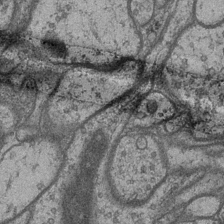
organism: Drosophila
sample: Optic medulla